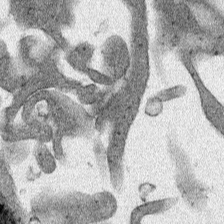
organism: Human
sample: Mitochondria in HCT116 cells